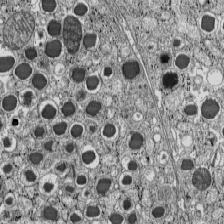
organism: C57BL Mouse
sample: Pancreatic islet